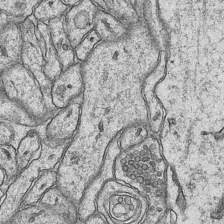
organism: Mouse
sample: CA1 Hippocampus